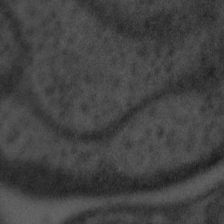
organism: Tuwongella immobilis